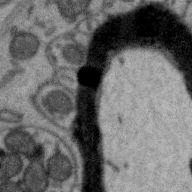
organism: Zebra finch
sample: Brain